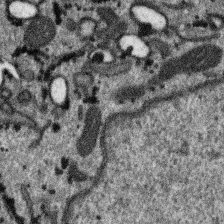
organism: Human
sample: Lung epithelial cells infected with SARS-CoV-2